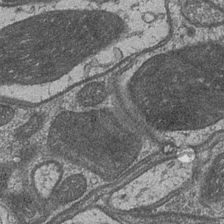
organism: Drosophila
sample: Optic medulla